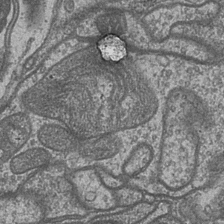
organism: Drosophila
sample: Optic medulla